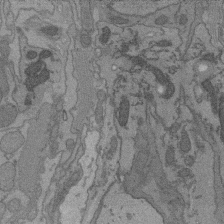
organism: C. elegans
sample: AFD neurons C. elegans